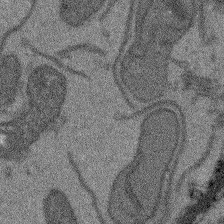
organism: Arabidopsis thaliana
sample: Root tip